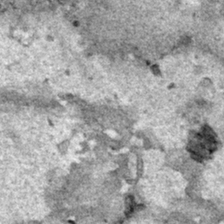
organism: Human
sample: Mitochondria in HCT116 cells